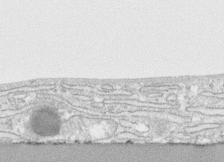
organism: Human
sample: CRL-1474